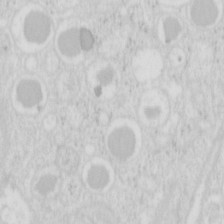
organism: Mouse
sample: Pancreas